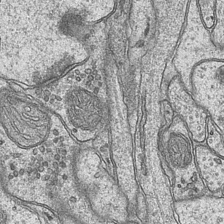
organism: Mouse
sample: CA1 Hippocampus